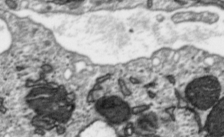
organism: Toxoplasma gondii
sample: Parasites in a vacuole inside a host cell